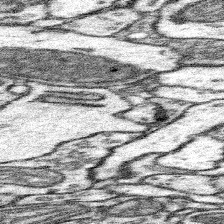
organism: Mouse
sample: Somatosensory cortex neuropil